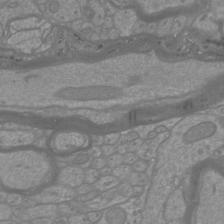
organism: Mouse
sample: Cortical neurons